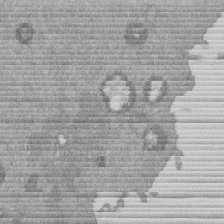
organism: Mouse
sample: Dividing mouse embryo 1 cell stage